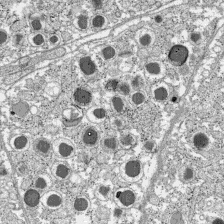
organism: C57BL Mouse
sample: Pancreatic islet